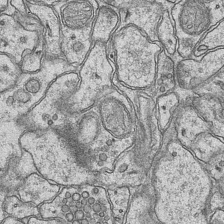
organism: Mouse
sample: CA1 Hippocampus